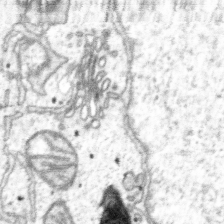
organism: Human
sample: HeLa cells